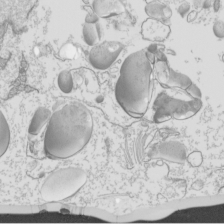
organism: Mouse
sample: Cilia; mouse epididymis